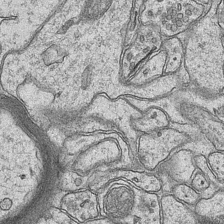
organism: Mouse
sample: CA1 Hippocampus